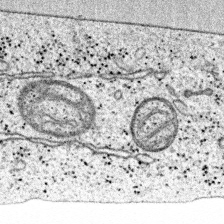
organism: Human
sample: HeLa cells